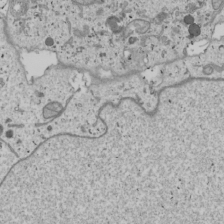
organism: Human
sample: Mitochondria in U2OS cells